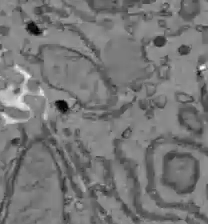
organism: C57BL Mouse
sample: Liver